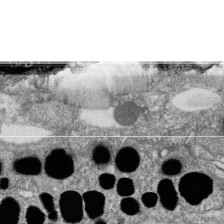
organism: Zebrafish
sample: Cilia; retinal pigment epithelium